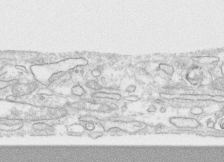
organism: Human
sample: CRL-1474